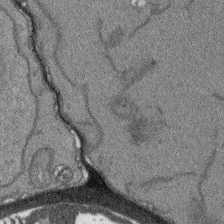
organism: Arabidopsis thaliana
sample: Root tip